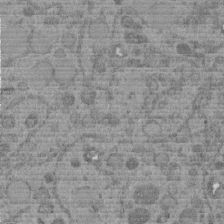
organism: C. elegans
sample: C. elegans embryo early stage